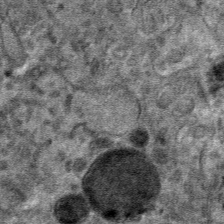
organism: Mouse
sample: Mouse hepatocytes